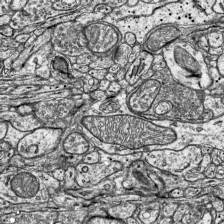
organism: Mouse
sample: Visual Cortex